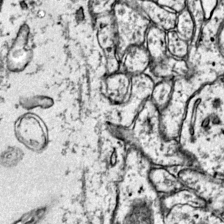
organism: Mouse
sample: Primary visual cortex